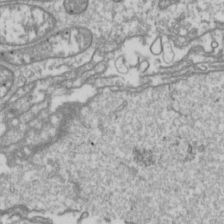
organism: Drosophila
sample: Cell division; meiosis; drosophila spermatocytes